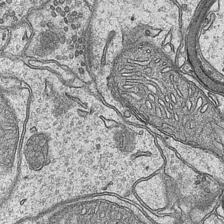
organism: Mouse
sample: CA1 Hippocampus